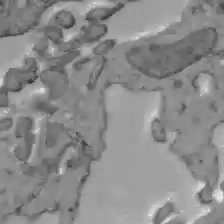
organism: C57BL Mouse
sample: Liver